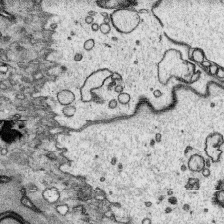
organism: Platynereis dumerilii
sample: Parapodia